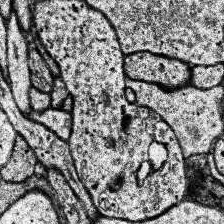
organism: Human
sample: Temporal Lobe